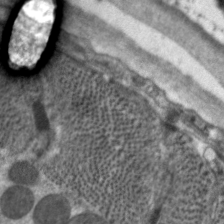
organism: C. elegans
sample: Pharynx